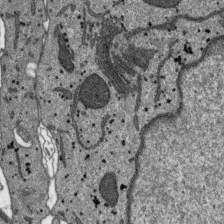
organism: Human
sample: Lung epithelial cells, uninfected (mock) control